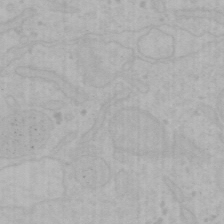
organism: Mouse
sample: Choroid plexus